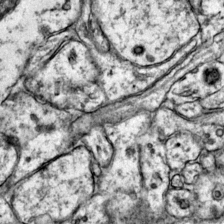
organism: Mouse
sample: Primary visual cortex